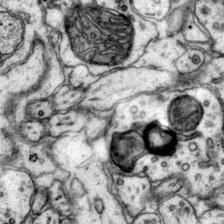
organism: Mouse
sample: Primary visual cortex